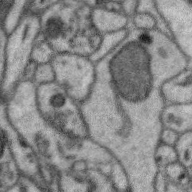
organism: Zebra finch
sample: Brain